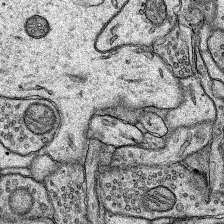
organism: Rat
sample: Hippocampus